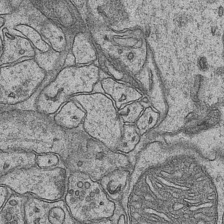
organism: Mouse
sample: CA1 Hippocampus